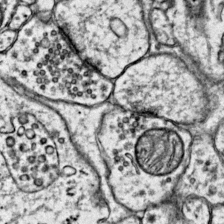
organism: Mouse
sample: Primary visual cortex